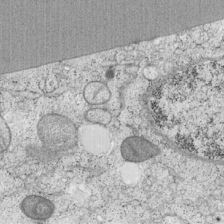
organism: African green monkey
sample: COS-7 cells